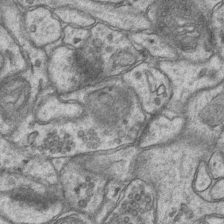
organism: Mouse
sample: CA1 Hippocampus